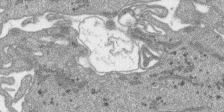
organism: Human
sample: Lung epithelial cells infected with SARS-CoV-2